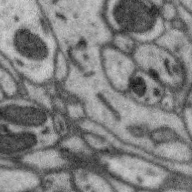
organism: Zebra finch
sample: Brain